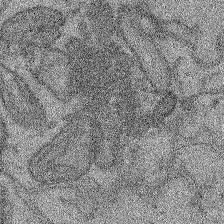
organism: Human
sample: HeLa cells